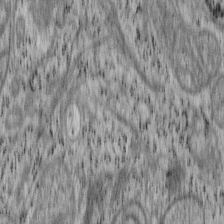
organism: Human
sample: HeLa cells